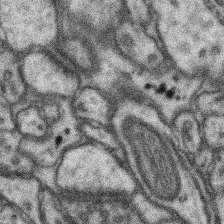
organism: Mouse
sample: Somatosensory cortex neuropil